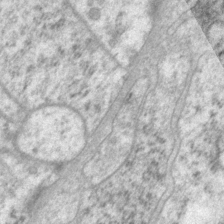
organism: P. pacificus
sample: Pharynx